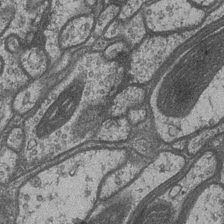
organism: Drosophila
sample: Optic medulla